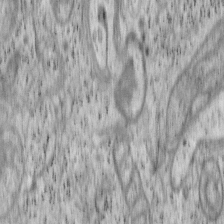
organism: Human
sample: HeLa cells